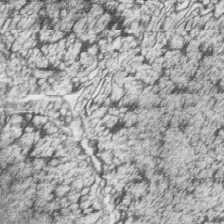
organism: Zebrafish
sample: synaptic ribbons in rod cells and cone cells